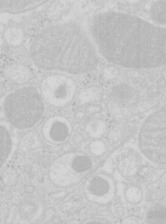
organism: Mouse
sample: Pancreas